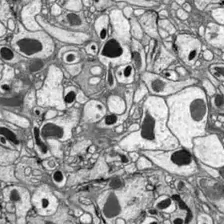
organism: Drosophila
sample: Optic lobe